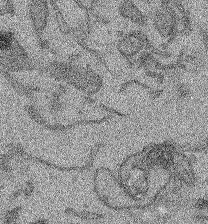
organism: Human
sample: HeLa cells